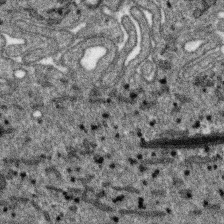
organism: Human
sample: Lung epithelial cells infected with SARS-CoV-2